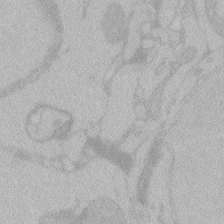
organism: Zebrafish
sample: Macrophage infected with Toxoplasma gondii